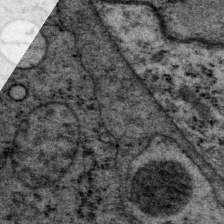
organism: P. pacificus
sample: Pharynx